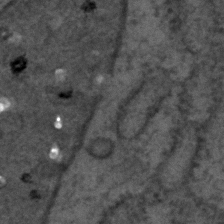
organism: C. elegans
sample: C. elegans embryo